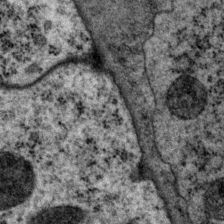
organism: P. pacificus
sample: Pharynx